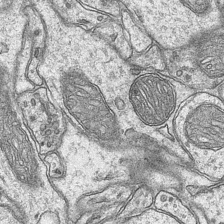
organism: Mouse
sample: CA1 Hippocampus